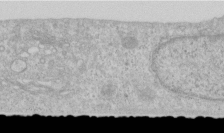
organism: Human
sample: Centriole in RPE cells